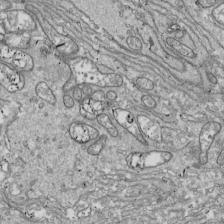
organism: Drosophila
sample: Cell division; meiosis; drosophila spermatocytes